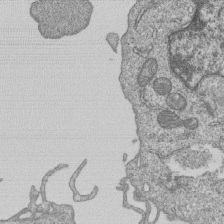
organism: Human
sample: MDA-MB-231 cells